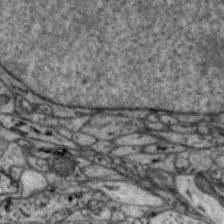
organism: Zebra finch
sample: Brain